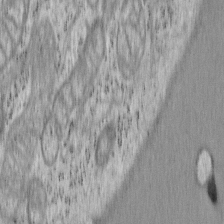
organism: Human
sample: HeLa cells